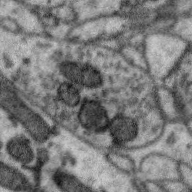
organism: Zebra finch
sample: Brain